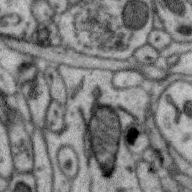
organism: Zebra finch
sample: Brain